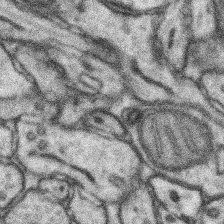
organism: Mouse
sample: Somatosensory cortex neuropil